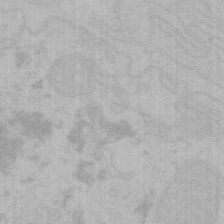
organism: Mouse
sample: Choroid plexus